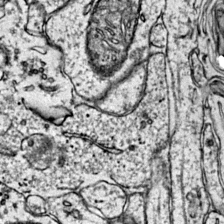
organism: Mouse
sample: Primary visual cortex